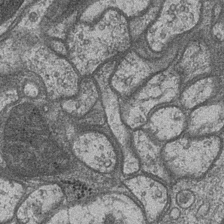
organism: Drosophila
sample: Optic medulla